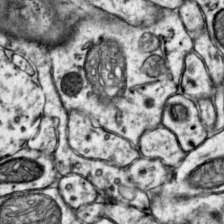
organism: Mouse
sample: Primary visual cortex